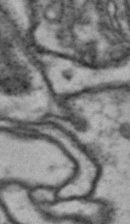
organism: Drosophila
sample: Brain